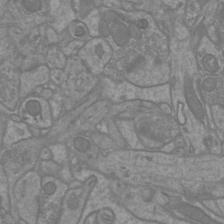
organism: Mouse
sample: Cortical neurons